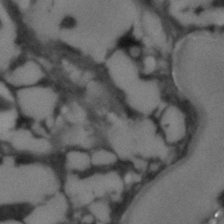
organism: C. elegans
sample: C. elegans embryo